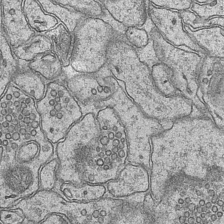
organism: Mouse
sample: CA1 Hippocampus